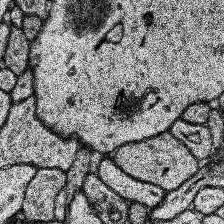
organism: Human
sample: Temporal Lobe